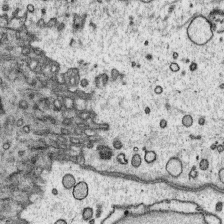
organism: Platynereis dumerilii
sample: Parapodia